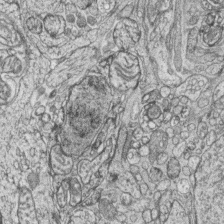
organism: Zebrafish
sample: synaptic ribbons in rod cells and cone cells